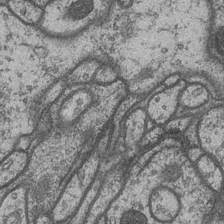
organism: Drosophila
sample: Optic medulla